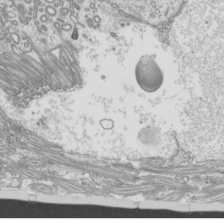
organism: Mouse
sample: Cilia; mouse epididymis